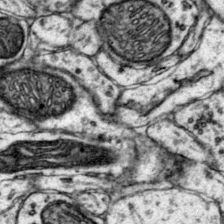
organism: Mouse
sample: Primary visual cortex